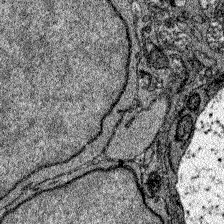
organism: Zebrafish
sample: Larval olfactory bulb